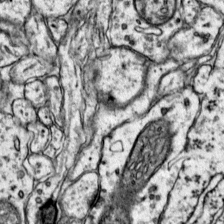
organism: Mouse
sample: Primary visual cortex